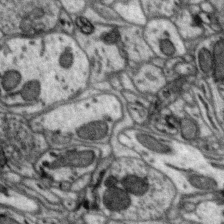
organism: Zebra finch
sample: Brain